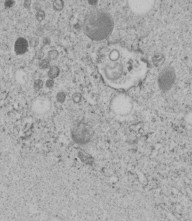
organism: C. elegans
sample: C. elegans embryo early stage